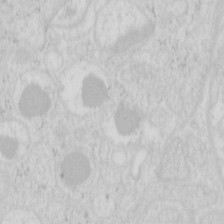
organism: Mouse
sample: Pancreas